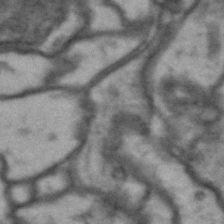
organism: Drosophila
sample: Brain